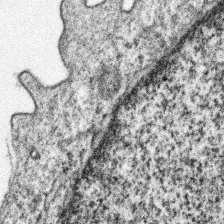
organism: Human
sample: HeLa cells